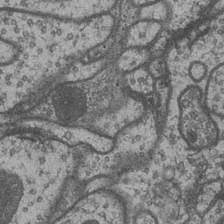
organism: Drosophila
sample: Optic medulla